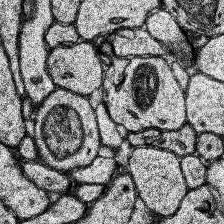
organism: Human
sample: Temporal Lobe